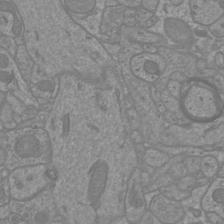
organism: Mouse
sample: Cortical neurons